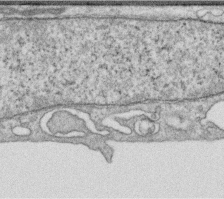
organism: Human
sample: Centriole in RPE cells